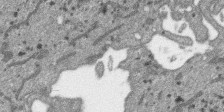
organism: Human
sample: Lung epithelial cells infected with SARS-CoV-2